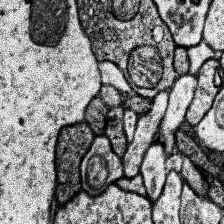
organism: Human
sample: Temporal Lobe